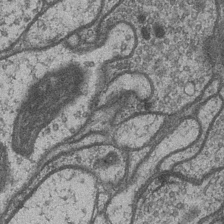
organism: Drosophila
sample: Optic medulla